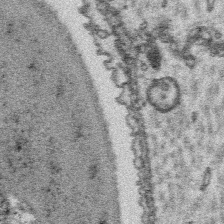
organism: Platynereis dumerilii